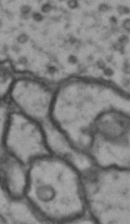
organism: Drosophila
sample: Brain